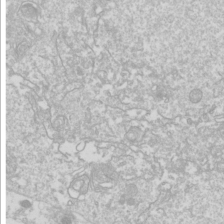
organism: Drosophila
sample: Cell division; meiosis; drosophila spermatocytes